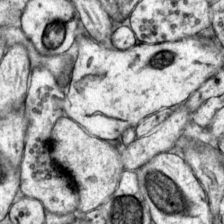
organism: Mouse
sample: Primary visual cortex